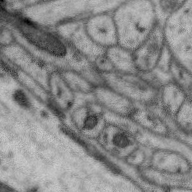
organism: Zebra finch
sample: Brain